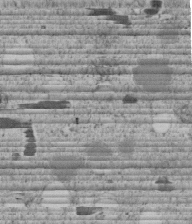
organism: C. elegans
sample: C. elegans embryo early stage